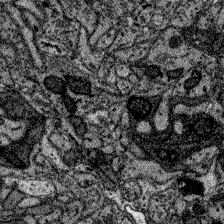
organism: Zebrafish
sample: Larval olfactory bulb